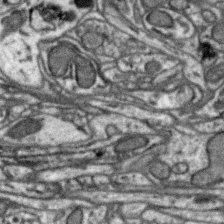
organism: Zebra finch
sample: Brain